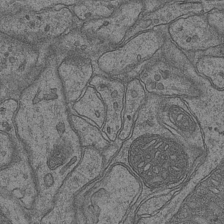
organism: Mouse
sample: CA1 Hippocampus